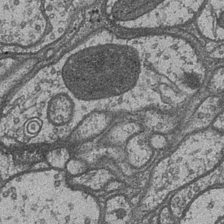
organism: Drosophila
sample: Optic medulla